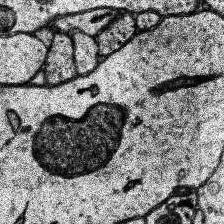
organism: Human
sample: Temporal Lobe